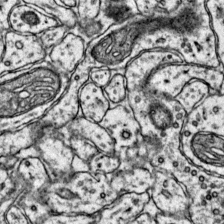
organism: Mouse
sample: Primary visual cortex